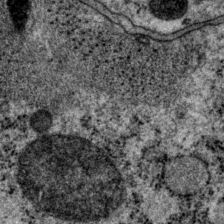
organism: P. pacificus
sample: Pharynx